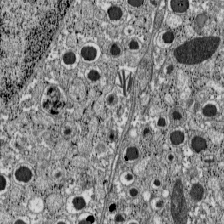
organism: C57BL Mouse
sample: Pancreatic islet